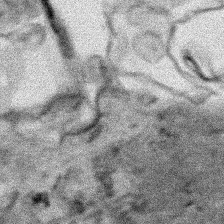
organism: Human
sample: Mitochondria in HCT116 cells